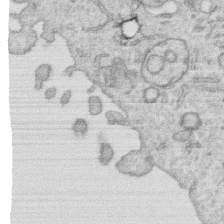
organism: Human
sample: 1205lu cells